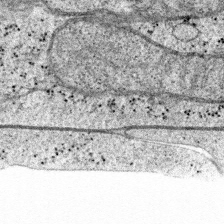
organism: Human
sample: HeLa cells